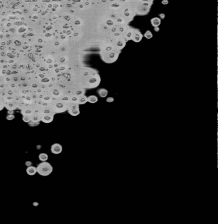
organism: Mouse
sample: Activated Pmel transgenic CD8+ T Cells